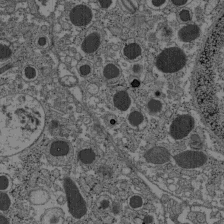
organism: C57BL Mouse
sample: Pancreatic islet